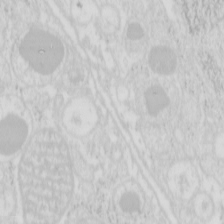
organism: Mouse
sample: Pancreas